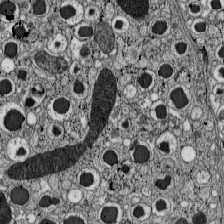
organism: C57BL Mouse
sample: Pancreatic islet